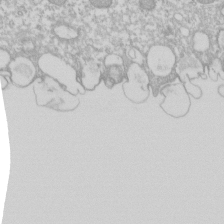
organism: Xenopus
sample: Cilia; centrioles in frog embryo cells